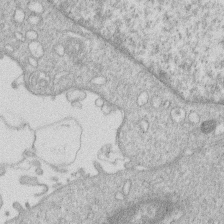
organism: Human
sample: Macrophage cells